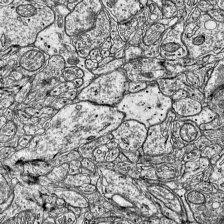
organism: Mouse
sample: Visual Cortex